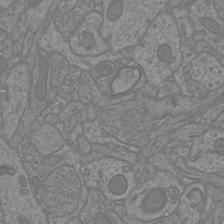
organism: Mouse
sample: Cortical neurons